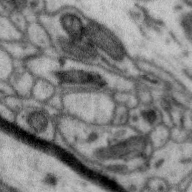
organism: Zebra finch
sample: Brain